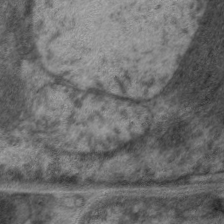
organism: C. elegans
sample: Pharynx